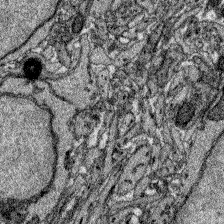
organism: Zebrafish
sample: Larval olfactory bulb